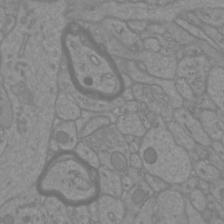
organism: Mouse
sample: Cortical neurons